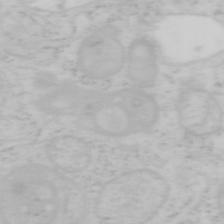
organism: Mouse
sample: OT-I killer T cells with ID8 ovarian cancer cells